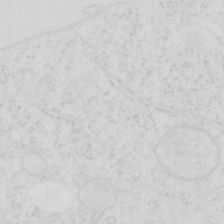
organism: Human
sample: SUM-159 cell